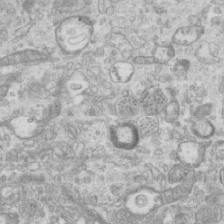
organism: Mouse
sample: Centriole in ependymal cells